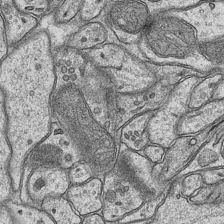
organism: Mouse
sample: CA1 Hippocampus